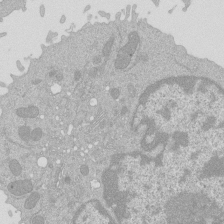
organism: Mouse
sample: Activated Pmel transgenic CD8+ T Cells